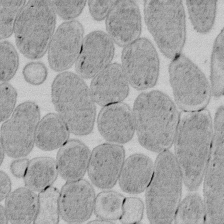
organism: E. coli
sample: Bacterial nucleoid